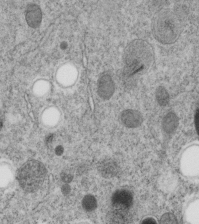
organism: C. elegans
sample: C. elegans embryo early stage